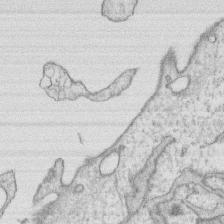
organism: Human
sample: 1205lu cells